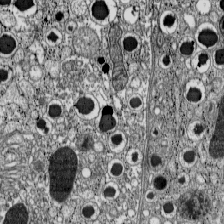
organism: C57BL Mouse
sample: Pancreatic islet